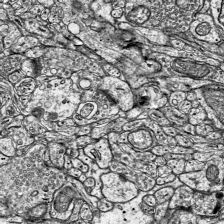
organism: Mouse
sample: Visual Cortex